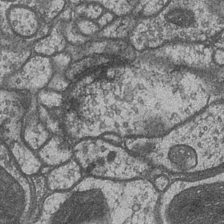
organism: Drosophila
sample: Optic medulla